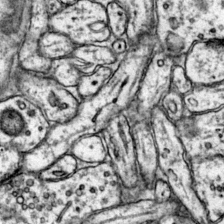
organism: Mouse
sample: Primary visual cortex